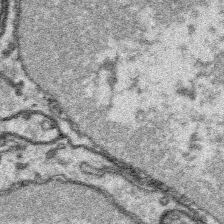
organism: Platynereis dumerilii